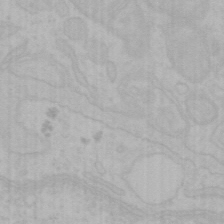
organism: Mouse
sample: Choroid plexus